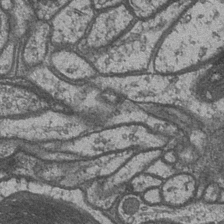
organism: Drosophila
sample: Optic medulla